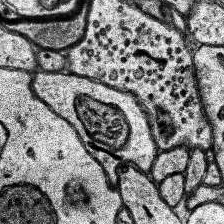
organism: Human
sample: Temporal Lobe